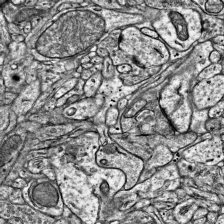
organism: Mouse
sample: Visual Cortex